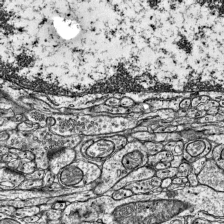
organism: Mouse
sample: Visual Cortex